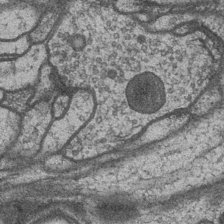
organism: Drosophila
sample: Optic medulla